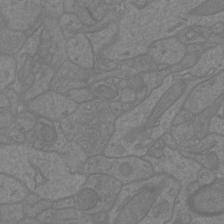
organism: Mouse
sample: Cortical neurons